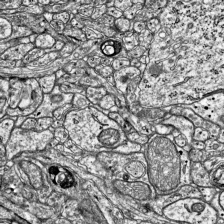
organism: Mouse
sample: Visual Cortex